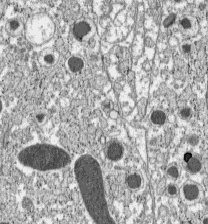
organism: C57BL Mouse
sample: Pancreatic islet